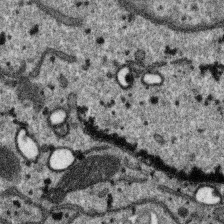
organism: Human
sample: Lung epithelial cells infected with SARS-CoV-2